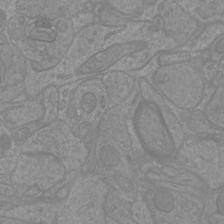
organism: Mouse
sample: Cortical neurons